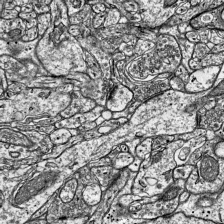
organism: Mouse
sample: Visual Cortex